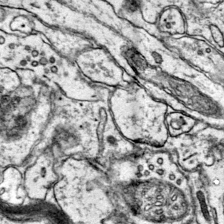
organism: Mouse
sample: Primary visual cortex